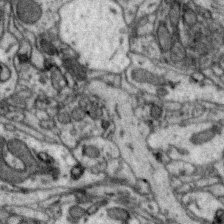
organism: Zebra finch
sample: Brain